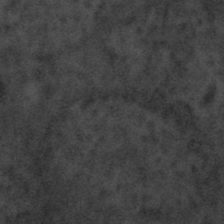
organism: Tuwongella immobilis